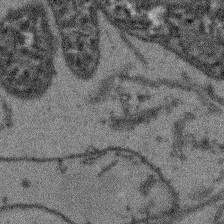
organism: Arabidopsis thaliana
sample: Root tip